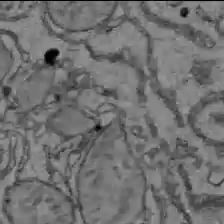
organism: C57BL Mouse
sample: Liver